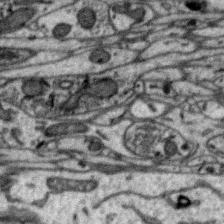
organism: Zebra finch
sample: Brain